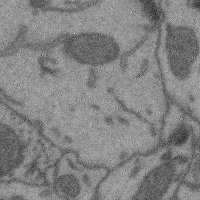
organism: Mouse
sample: Cerebral cortex